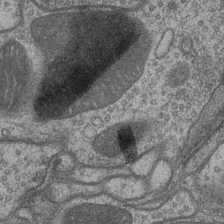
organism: Drosophila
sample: Optic medulla